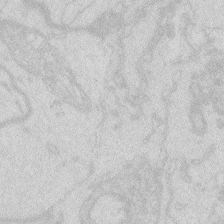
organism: Zebrafish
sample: Macrophage